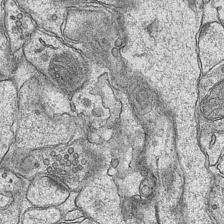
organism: Mouse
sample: CA1 Hippocampus